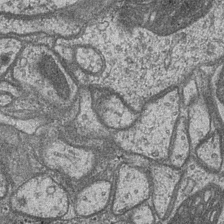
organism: Drosophila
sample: Optic medulla